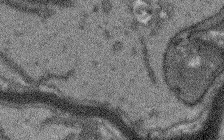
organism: Arabidopsis thaliana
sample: Root tip